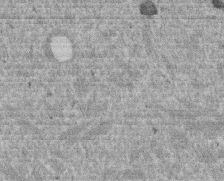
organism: Mouse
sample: Dividing mouse embryo 1 cell stage